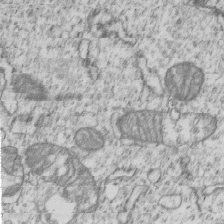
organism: Human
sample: MDA-MB-231 cells